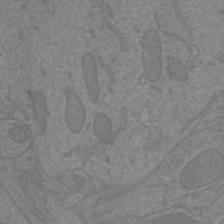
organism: Mouse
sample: Cortical neurons